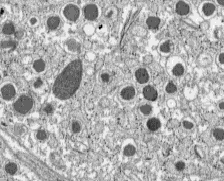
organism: C57BL Mouse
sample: Pancreatic islet